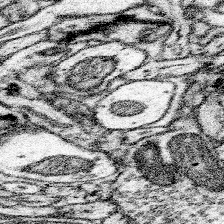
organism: Mouse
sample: Somatosensory cortex neuropil